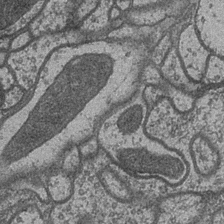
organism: Drosophila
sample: Optic medulla